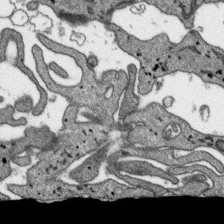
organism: Human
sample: Lung epithelial cells, uninfected (mock) control